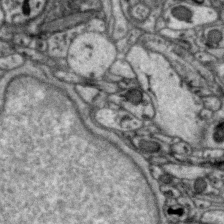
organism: Zebra finch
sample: Brain